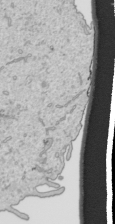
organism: Human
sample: Mitochondria in HCT116 cells